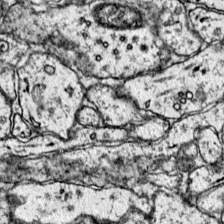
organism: Mouse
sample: Primary visual cortex